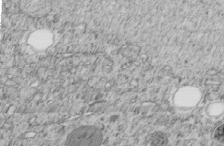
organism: C. elegans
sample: C. elegans embryo early stage